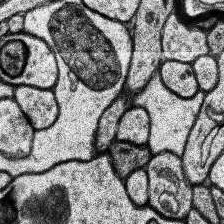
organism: Human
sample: Temporal Lobe